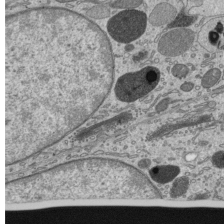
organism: Mouse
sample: Mouse epididymis efferent ductule cilia